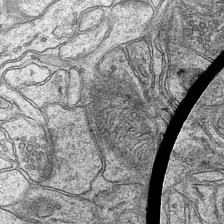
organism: Mouse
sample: CA1 Hippocampus